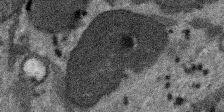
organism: Human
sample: Lung epithelial cells infected with SARS-CoV-2